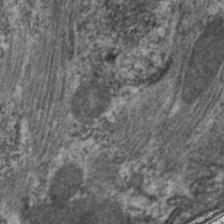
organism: C. elegans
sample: Pharynx